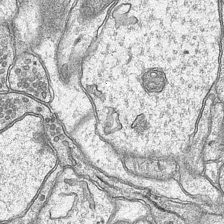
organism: Mouse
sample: CA1 Hippocampus